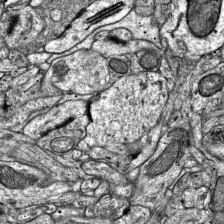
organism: Mouse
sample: Visual Cortex